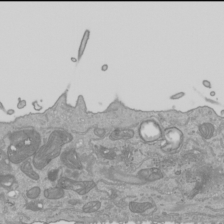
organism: Human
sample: Mitochondria in HCT116 cells